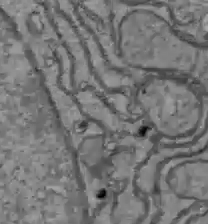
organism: C57BL Mouse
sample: Liver